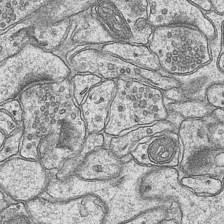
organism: Mouse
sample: CA1 Hippocampus